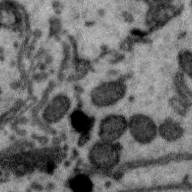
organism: Zebra finch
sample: Brain